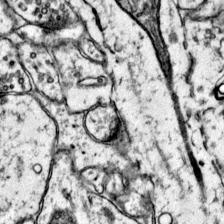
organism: Mouse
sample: Primary visual cortex